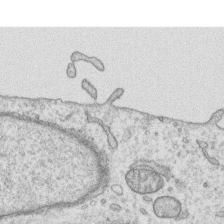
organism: Human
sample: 1205lu cells